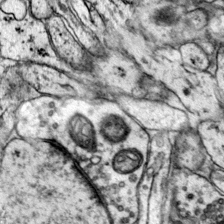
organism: Mouse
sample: Primary visual cortex